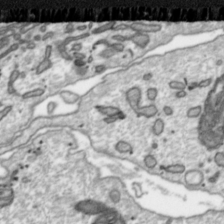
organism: Toxoplasma gondii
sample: Parasites in a vacuole inside a host cell